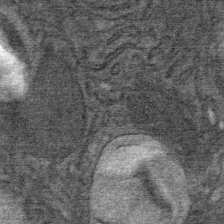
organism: Mouse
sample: Mouse Salivary gland